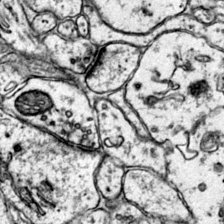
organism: Mouse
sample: Primary visual cortex